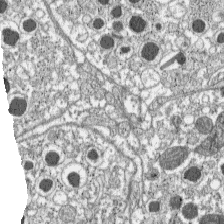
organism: C57BL Mouse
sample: Pancreatic islet